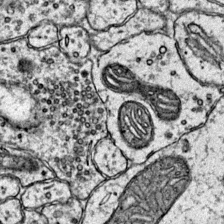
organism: Mouse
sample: Primary visual cortex